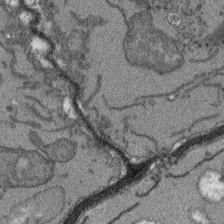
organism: Arabidopsis thaliana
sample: Root tip